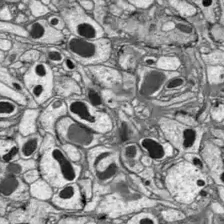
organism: Drosophila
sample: Optic lobe